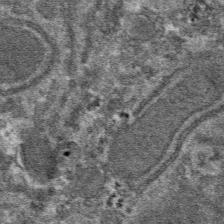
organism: Mouse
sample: Mouse hepatocytes